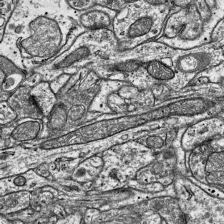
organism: Mouse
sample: Visual Cortex